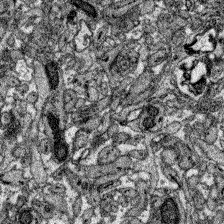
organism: Zebrafish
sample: Larval olfactory bulb